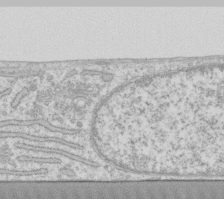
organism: Human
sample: Fibroblast cells